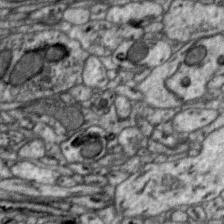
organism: Zebra finch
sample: Brain